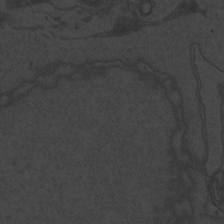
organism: Zebrafish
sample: Macrophage infected with Toxoplasma gondii